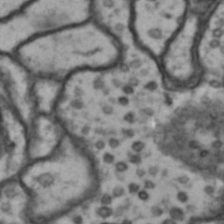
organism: Drosophila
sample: Brain